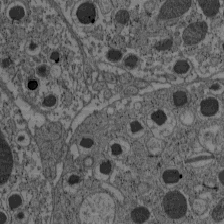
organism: C57BL Mouse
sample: Pancreatic islet